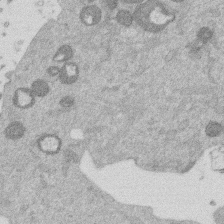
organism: Mouse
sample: Dividing mouse embryo 1 cell stage